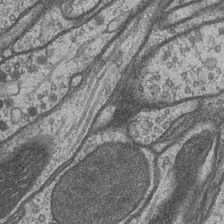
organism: Drosophila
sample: Optic medulla